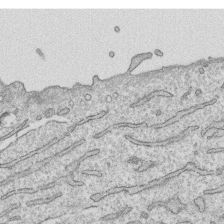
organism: Human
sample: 1205lu cells